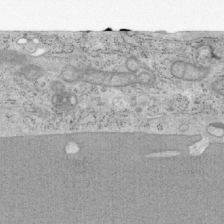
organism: Human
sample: HeLa cells